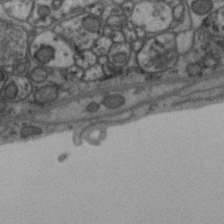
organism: Zebra finch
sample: Brain